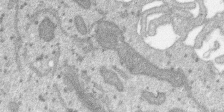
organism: Human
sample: Lung epithelial cells infected with SARS-CoV-2